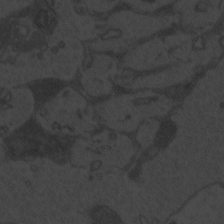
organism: Zebrafish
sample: Macrophage infected with Toxoplasma gondii